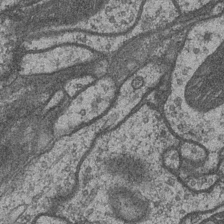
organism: Drosophila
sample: Optic medulla